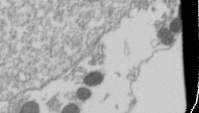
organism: Drosophila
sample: Cell division; meiosis; drosophila spermatocytes